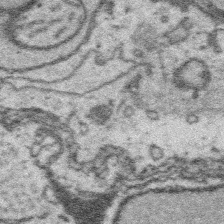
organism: Platynereis dumerilii